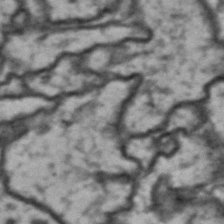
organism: Drosophila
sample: Brain